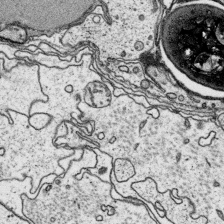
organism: Platynereis dumerilii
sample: Parapodia